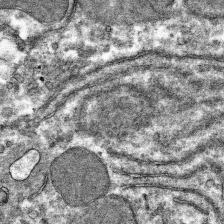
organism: Mouse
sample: Mouse hepatocytes